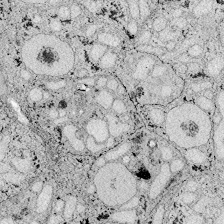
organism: Zebrafish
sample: Whole-Brain